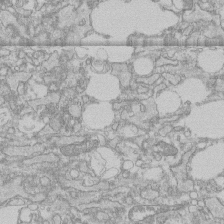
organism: Human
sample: CRL-1474